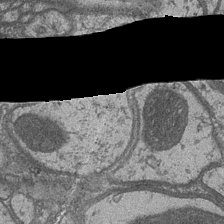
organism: Drosophila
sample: Optic medulla